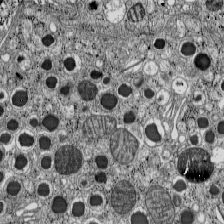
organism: C57BL Mouse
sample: Pancreatic islet